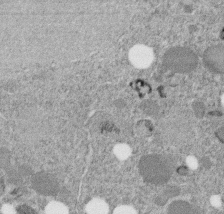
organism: C. elegans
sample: C. elegans embryo early stage